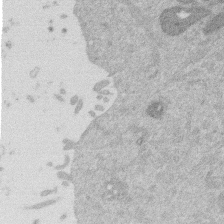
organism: Mouse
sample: Dividing mouse embryo 1 cell stage